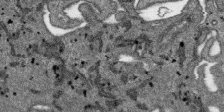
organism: Human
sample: Lung epithelial cells, uninfected (mock) control